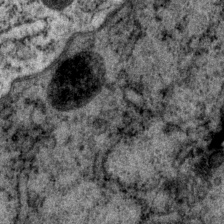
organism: P. pacificus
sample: Pharynx